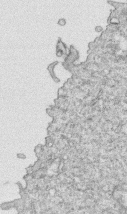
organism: Human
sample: HeLa cell HIV synapse